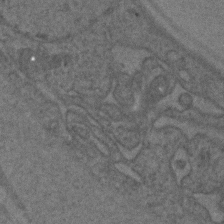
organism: C. elegans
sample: C. elegans embryo